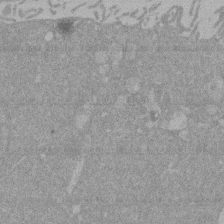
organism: Mouse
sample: ED-1 cell nuclei; centrioles